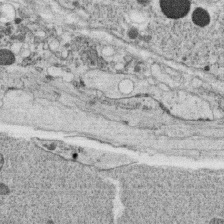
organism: C. elegans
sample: C. elegans oocyte; sperm cells